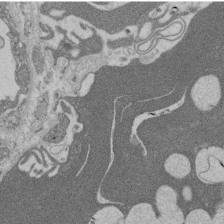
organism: Rat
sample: Salivary granule